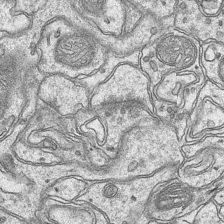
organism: Mouse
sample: CA1 Hippocampus